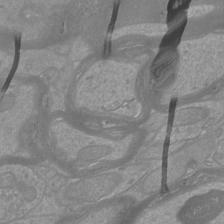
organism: Mouse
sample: Cortical neurons